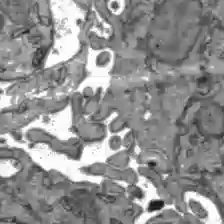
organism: C57BL Mouse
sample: Liver